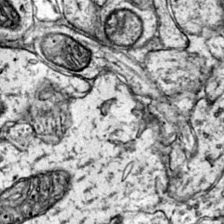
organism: Mouse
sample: Primary visual cortex